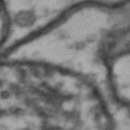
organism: Drosophila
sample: Brain